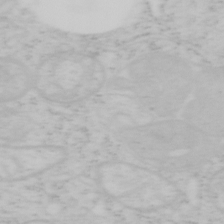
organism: Mouse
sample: OT-I killer T cells with ID8 ovarian cancer cells